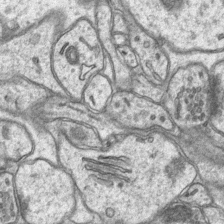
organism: Mouse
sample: CA1 Hippocampus